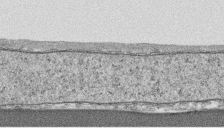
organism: Human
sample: CRL-1474